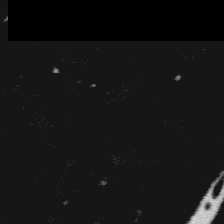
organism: Platynereis dumerilii